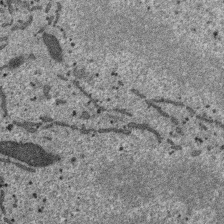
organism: Human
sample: Lung epithelial cells infected with SARS-CoV-2